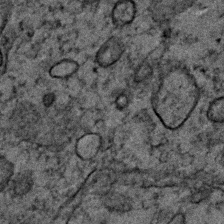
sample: Trachea